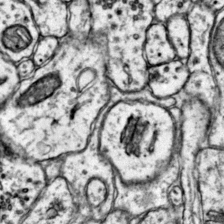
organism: Mouse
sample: Primary visual cortex